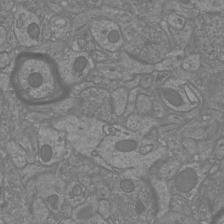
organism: Mouse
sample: Cortical neurons